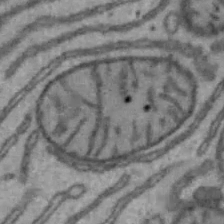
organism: Mouse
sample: Liver